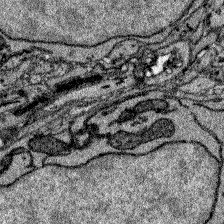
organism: Zebrafish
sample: Larval olfactory bulb